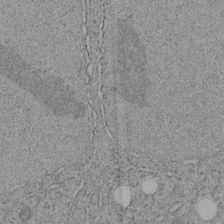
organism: C. elegans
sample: C. elegans embryo early stage